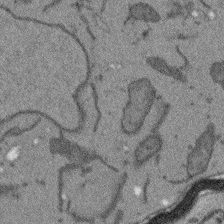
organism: Arabidopsis thaliana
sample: Root tip